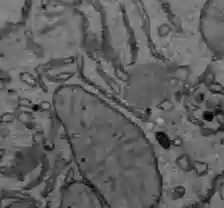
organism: C57BL Mouse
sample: Liver